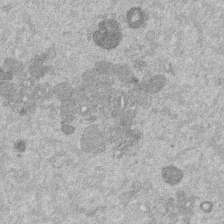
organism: Mouse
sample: Dividing mouse embryo 1 cell stage